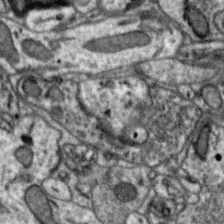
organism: Zebra finch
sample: Brain